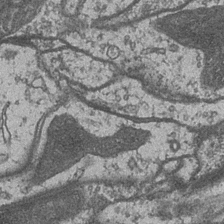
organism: Drosophila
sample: Optic medulla